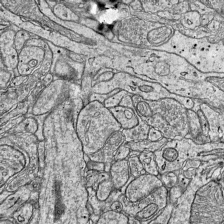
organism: Mouse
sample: Visual Cortex